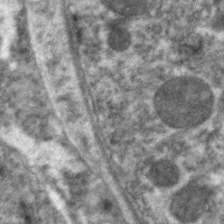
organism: C. elegans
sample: Pharynx